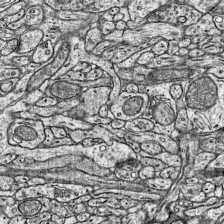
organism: Mouse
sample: Visual Cortex